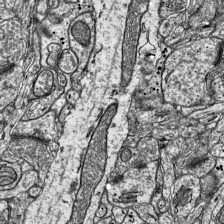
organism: Mouse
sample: Visual Cortex